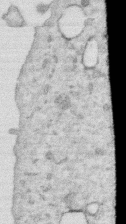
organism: Human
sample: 1205lu cells